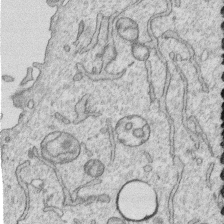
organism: Human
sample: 1205lu cells